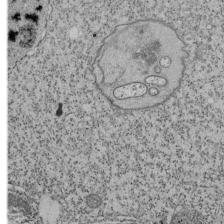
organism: Tetrahymena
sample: Cilia in tetrahymena